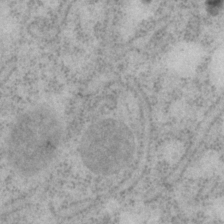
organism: P. pacificus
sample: Pharynx